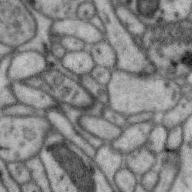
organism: Zebra finch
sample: Brain